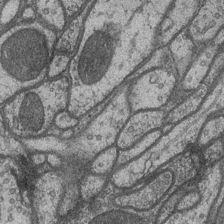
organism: Drosophila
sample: Optic medulla